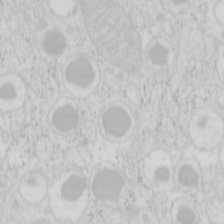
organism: Mouse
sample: Pancreas